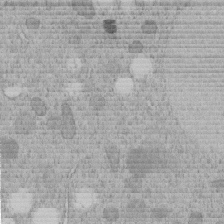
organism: C. elegans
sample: C. elegans embryo early stage